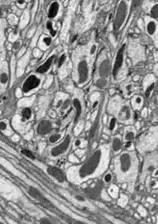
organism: Drosophila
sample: Optic lobe